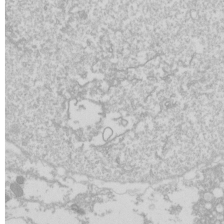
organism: Drosophila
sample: Cell division; meiosis; drosophila spermatocytes